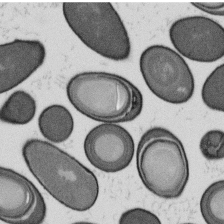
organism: B. subtilis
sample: Bacterial spore